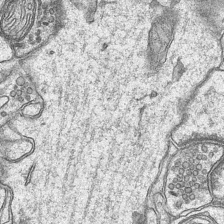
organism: Mouse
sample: CA1 Hippocampus